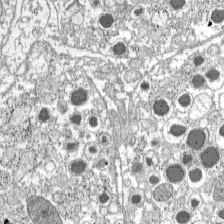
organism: C57BL Mouse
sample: Pancreatic islet